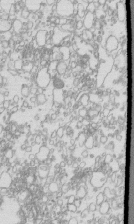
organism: Mouse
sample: Macrophages